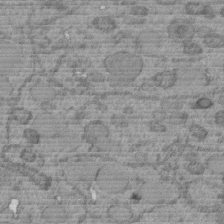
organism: C. elegans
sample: C. elegans embryo early stage